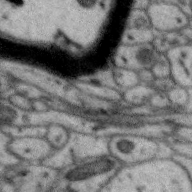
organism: Zebra finch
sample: Brain